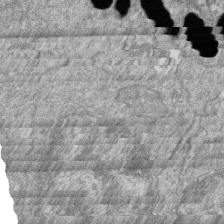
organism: Zebrafish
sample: Cilia; retinal pigment epithelium